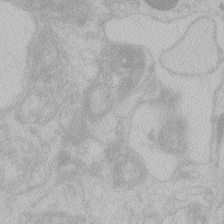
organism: Zebrafish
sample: Macrophage infected with Toxoplasma gondii